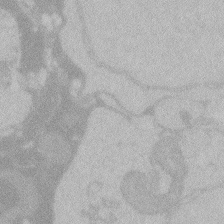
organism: Zebrafish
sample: Macrophage infected with Toxoplasma gondii